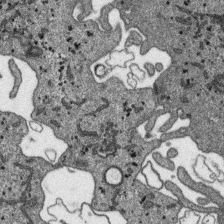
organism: Human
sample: Lung epithelial cells infected with SARS-CoV-2